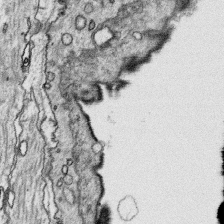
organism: Platynereis dumerilii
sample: Parapodia